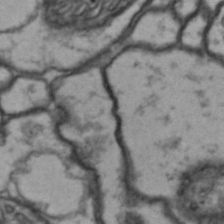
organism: Drosophila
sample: Brain